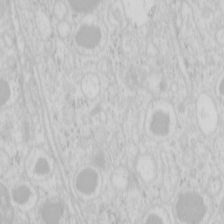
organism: Mouse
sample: Pancreas